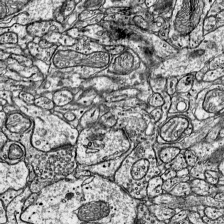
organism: Mouse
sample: Visual Cortex